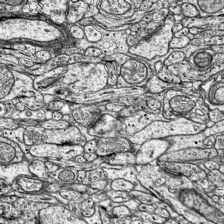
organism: Mouse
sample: Visual Cortex